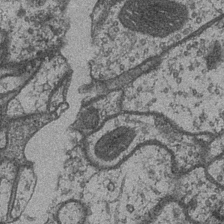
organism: Drosophila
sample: Optic medulla